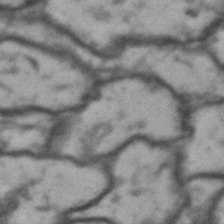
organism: Drosophila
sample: Brain